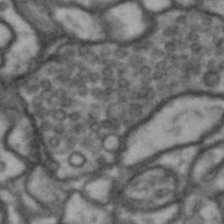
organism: Drosophila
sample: Brain